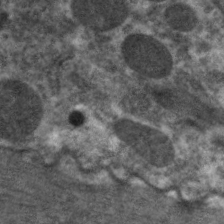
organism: C. elegans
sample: Pharynx